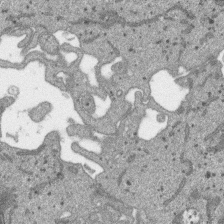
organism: Human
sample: Lung epithelial cells infected with SARS-CoV-2